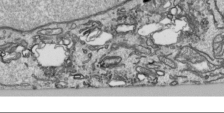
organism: Human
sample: Mitochondria in HCT116 cells